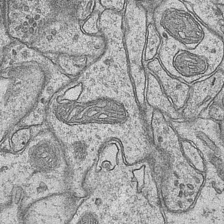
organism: Mouse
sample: CA1 Hippocampus